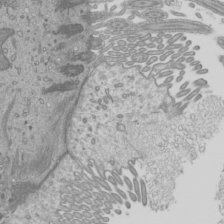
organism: Mouse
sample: Cilia; mouse epididymis